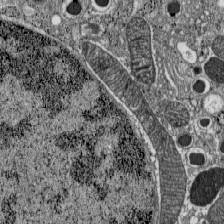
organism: C57BL Mouse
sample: Pancreatic islet